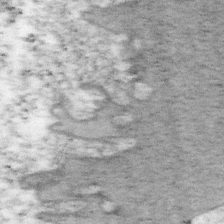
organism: Mouse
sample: OT-I killer T cells with ID8 ovarian cancer cells